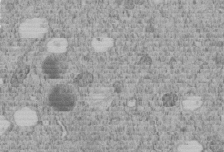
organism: C. elegans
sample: C. elegans embryo early stage